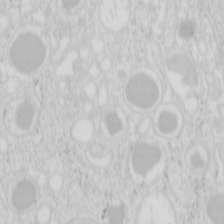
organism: Mouse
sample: Pancreas